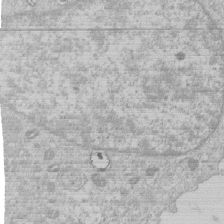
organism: Human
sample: Macrophage cells